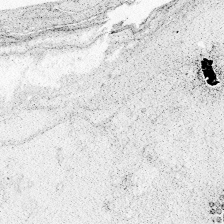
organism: Zebrafish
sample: Whole-Brain